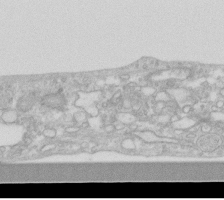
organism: Human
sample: Fibroblast cells